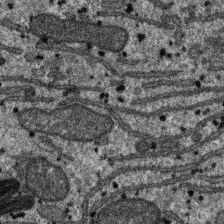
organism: Human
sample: Lung epithelial cells infected with SARS-CoV-2